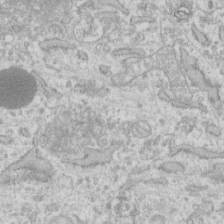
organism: Human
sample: Fibroblast cells